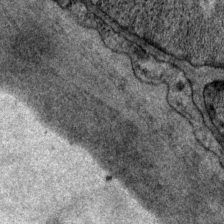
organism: P. pacificus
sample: Pharynx